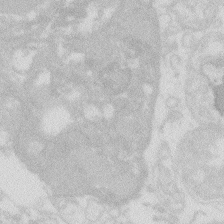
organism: Zebrafish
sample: Macrophage